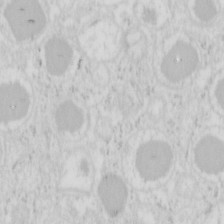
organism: Mouse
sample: Pancreas